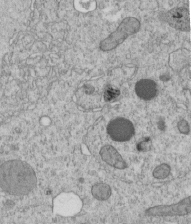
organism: C. elegans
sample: C. elegans embryo early stage